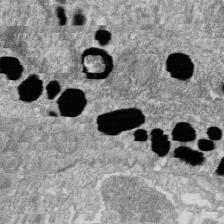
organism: Zebrafish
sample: Cilia; retinal pigment epithelium